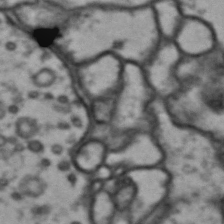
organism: Drosophila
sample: Brain